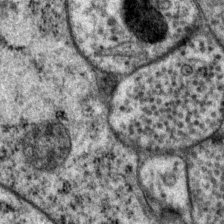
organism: P. pacificus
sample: Pharynx